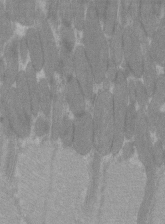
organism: C57BL Mouse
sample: Tibialis anterior muscle cell